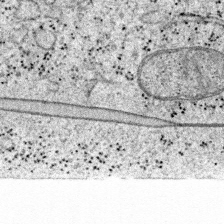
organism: Human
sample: HeLa cells